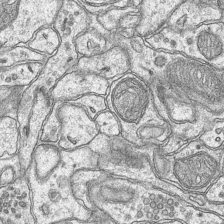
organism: Mouse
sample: CA1 Hippocampus